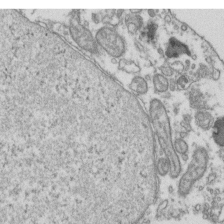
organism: Human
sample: Activated Jurkat CD4+ T cells